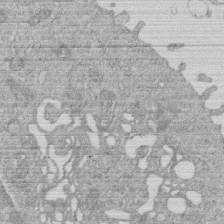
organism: Human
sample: Macrophage cells